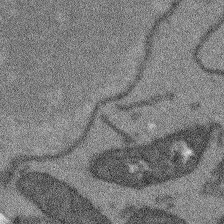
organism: Arabidopsis thaliana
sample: Root tip